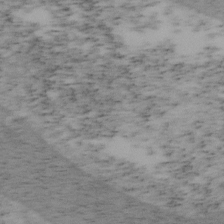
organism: Mouse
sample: OT-I killer T cells with ID8 ovarian cancer cells